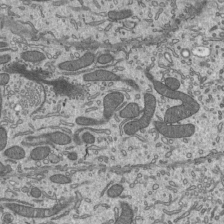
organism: Mouse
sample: Mouse epididymis efferent ductule cilia